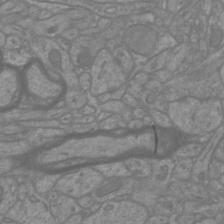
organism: Mouse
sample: Cortical neurons